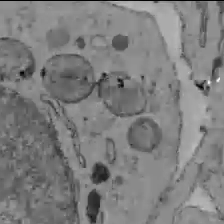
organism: C57BL Mouse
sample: Liver